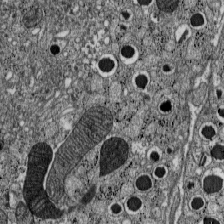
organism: C57BL Mouse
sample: Pancreatic islet